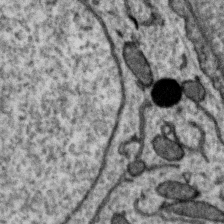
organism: Zebra finch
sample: Brain